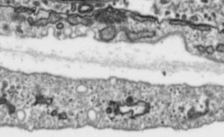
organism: Toxoplasma gondii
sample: Parasites in a vacuole inside a host cell